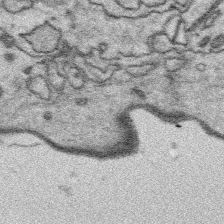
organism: Platynereis dumerilii